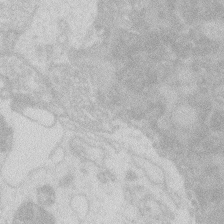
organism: Zebrafish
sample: Macrophage